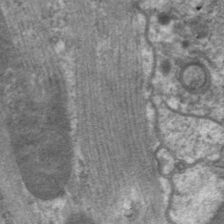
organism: C. elegans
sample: Pharynx